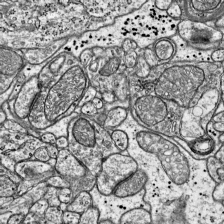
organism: Mouse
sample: Visual Cortex